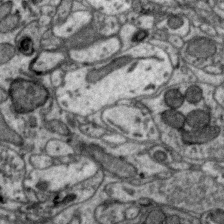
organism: Zebra finch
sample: Brain